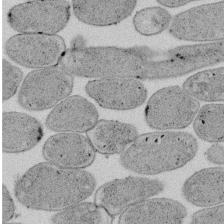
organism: E. coli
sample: Bacterial nucleoid